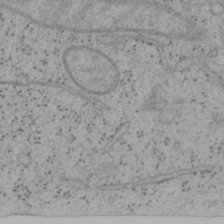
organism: Human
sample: HeLa cells